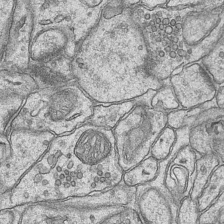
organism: Mouse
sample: CA1 Hippocampus